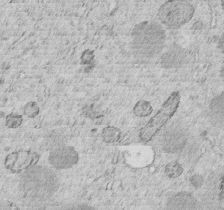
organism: C. elegans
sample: C. elegans embryo early stage